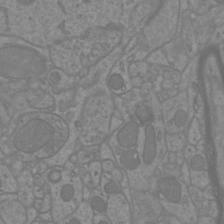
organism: Mouse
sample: Cortical neurons